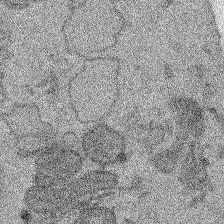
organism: Human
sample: HeLa cells